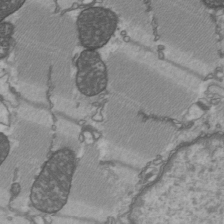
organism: C57BL Mouse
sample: Heart